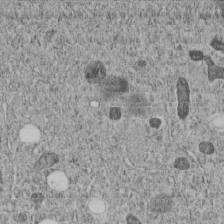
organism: C. elegans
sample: C. elegans embryo early stage